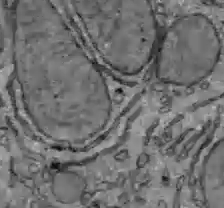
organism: C57BL Mouse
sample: Liver